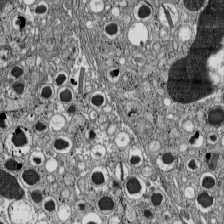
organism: C57BL Mouse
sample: Pancreatic islet